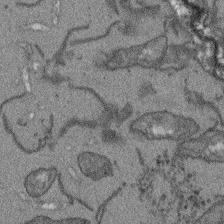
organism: Arabidopsis thaliana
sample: Root tip